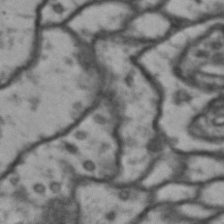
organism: Drosophila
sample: Brain